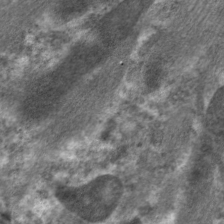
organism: C. elegans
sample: Pharynx